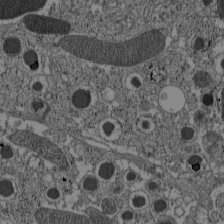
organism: C57BL Mouse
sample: Pancreatic islet